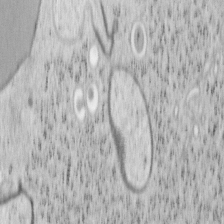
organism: Human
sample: HeLa cells